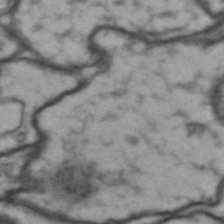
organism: Drosophila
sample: Brain